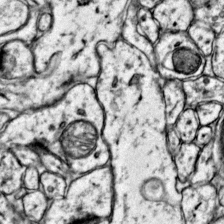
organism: Mouse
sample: Primary visual cortex